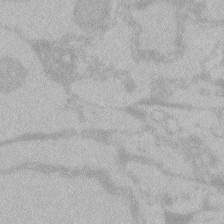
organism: Zebrafish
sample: Macrophage infected with Toxoplasma gondii